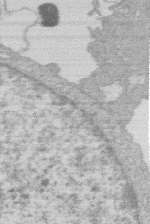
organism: Human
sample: Macrophage cells